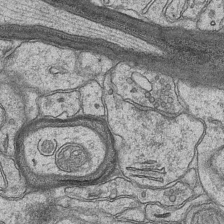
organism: Mouse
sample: CA1 Hippocampus